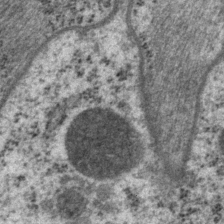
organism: P. pacificus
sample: Pharynx